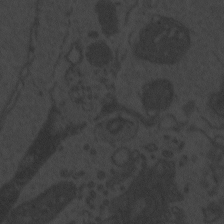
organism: Zebrafish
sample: Macrophage infected with Toxoplasma gondii